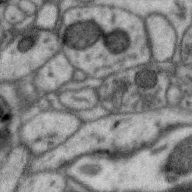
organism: Zebra finch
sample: Brain